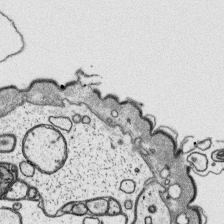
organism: Platynereis dumerilii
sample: Parapodia